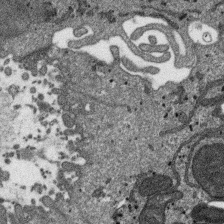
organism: Human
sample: Lung epithelial cells infected with SARS-CoV-2